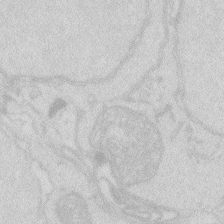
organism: Zebrafish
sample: Macrophage